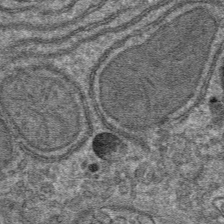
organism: Mouse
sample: Mouse hepatocytes